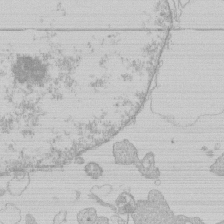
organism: Human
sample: Macrophage cells